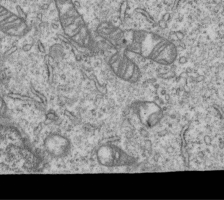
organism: Human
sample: MDA-MB-231 cells